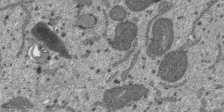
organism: Human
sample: Lung epithelial cells infected with SARS-CoV-2